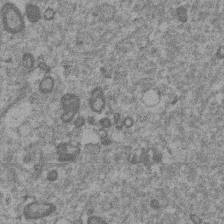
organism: Mouse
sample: Dividing mouse embryo 1 cell stage